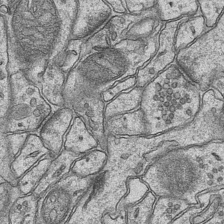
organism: Mouse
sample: CA1 Hippocampus